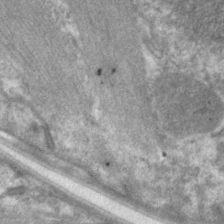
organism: C. elegans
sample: Pharynx